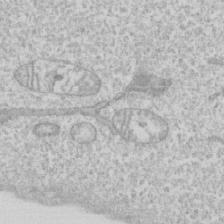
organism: Human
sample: CRL-1474